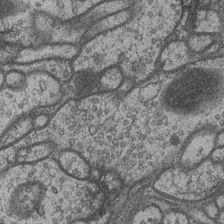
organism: Drosophila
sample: Optic medulla